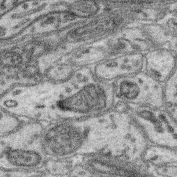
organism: Mouse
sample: Retina